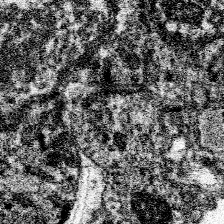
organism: Spongilla lacustris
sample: Neuroid cell